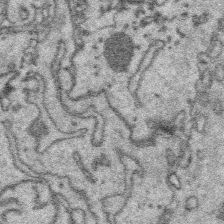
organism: Platynereis dumerilii